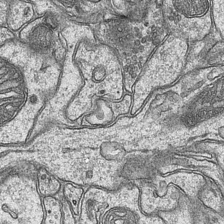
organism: Mouse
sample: CA1 Hippocampus